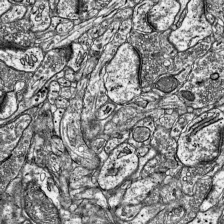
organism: Mouse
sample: Visual Cortex